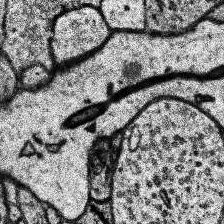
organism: Human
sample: Temporal Lobe